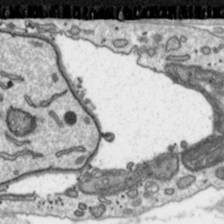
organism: Toxoplasma gondii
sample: Parasites in a vacuole inside a host cell